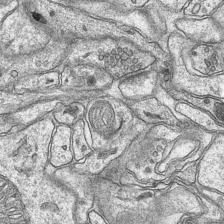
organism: Mouse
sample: CA1 Hippocampus